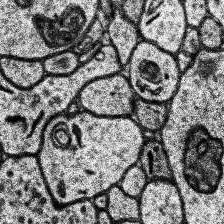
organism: Human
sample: Temporal Lobe